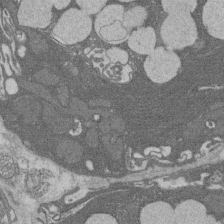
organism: Rat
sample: Salivary granule